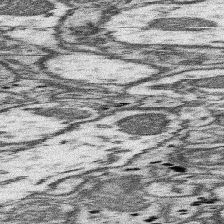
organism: Mouse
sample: Somatosensory cortex neuropil